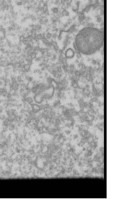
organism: Drosophila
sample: Cell division; meiosis; drosophila spermatocytes